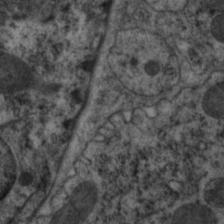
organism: C. elegans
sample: Pharynx